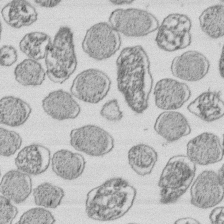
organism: E. coli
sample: Bacterial nucleoid